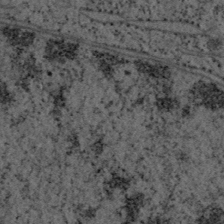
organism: Human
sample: HeLa cells